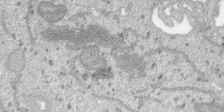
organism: Human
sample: Lung epithelial cells infected with SARS-CoV-2